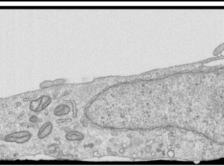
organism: Human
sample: Centriole in RPE cells